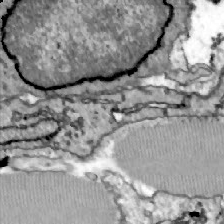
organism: Zebrafish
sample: Actinotrichia fibers